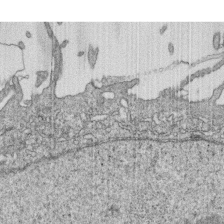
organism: Human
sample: HeLa cell HIV synapse